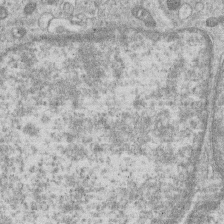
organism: Human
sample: Macrophage cells